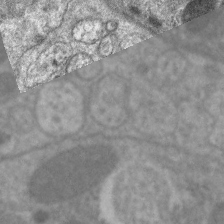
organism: C. elegans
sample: Pharynx